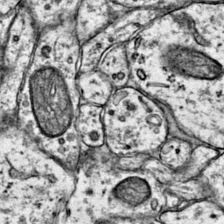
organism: Mouse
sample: Primary visual cortex